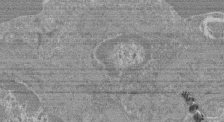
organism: Mouse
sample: Glomerulus